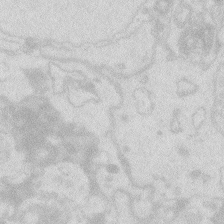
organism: Zebrafish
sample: Macrophage